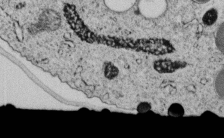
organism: C. elegans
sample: C. elegans embryo early stage